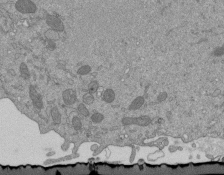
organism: Mouse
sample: ED-1 cell nuclei; centrioles